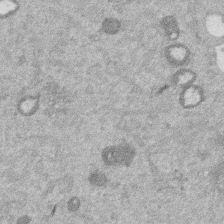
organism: Mouse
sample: Dividing mouse embryo 1 cell stage